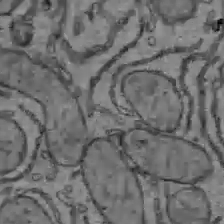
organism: C57BL Mouse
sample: Liver